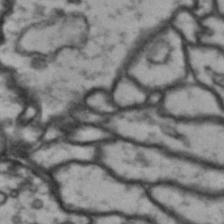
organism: Drosophila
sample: Brain